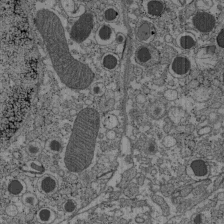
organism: C57BL Mouse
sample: Pancreatic islet